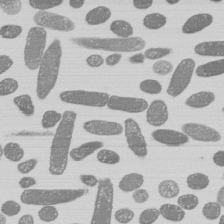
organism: E. coli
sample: Bacterial nucleoid